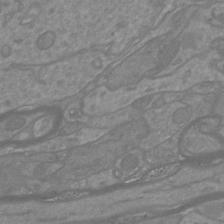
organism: Mouse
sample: Cortical neurons